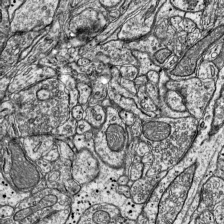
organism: Mouse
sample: Visual Cortex